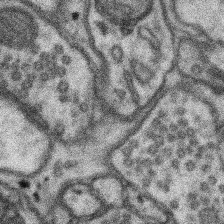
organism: Mouse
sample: Somatosensory cortex neuropil